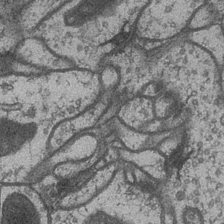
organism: Drosophila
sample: Optic medulla